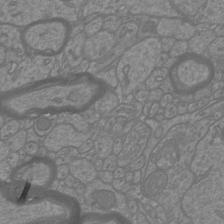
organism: Mouse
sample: Cortical neurons